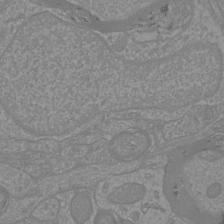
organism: Mouse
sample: Cortical neurons